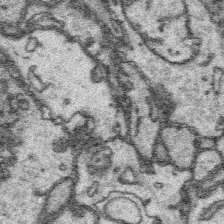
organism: Platynereis dumerilii